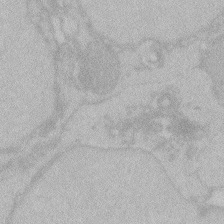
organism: Zebrafish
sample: Macrophage infected with Toxoplasma gondii